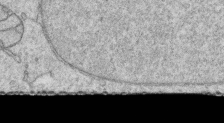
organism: Human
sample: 1205lu cells